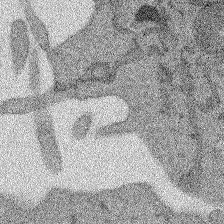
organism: Human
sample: HeLa cells